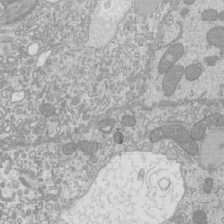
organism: Mouse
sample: Cilia; mouse epididymis